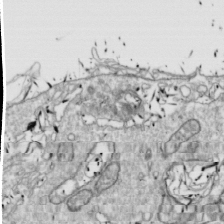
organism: Drosophila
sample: Cell division; meiosis; drosophila spermatocytes